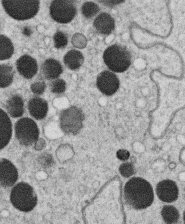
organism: C. elegans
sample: C. elegans oocyte; sperm cells